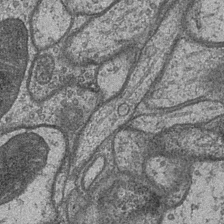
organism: Drosophila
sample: Optic medulla